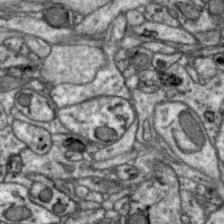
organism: Zebra finch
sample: Brain